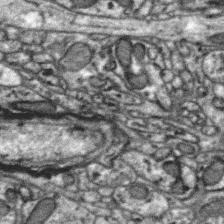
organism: Zebra finch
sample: Brain